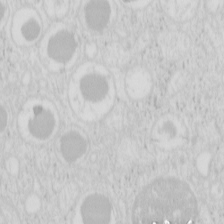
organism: Mouse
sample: Pancreas